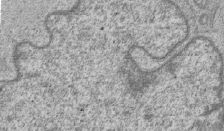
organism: Human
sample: MDA-MB-231 cells